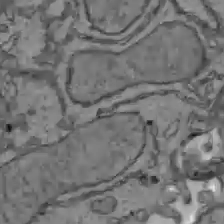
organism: C57BL Mouse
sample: Liver